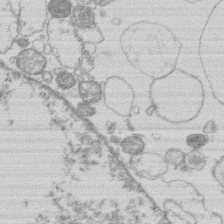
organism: Human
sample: Macrophage cells